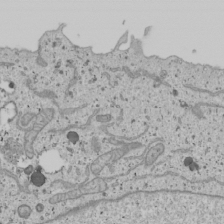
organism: Human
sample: Mitochondria in U2OS cells